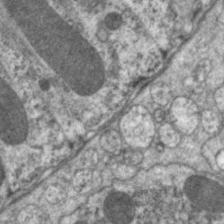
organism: C. elegans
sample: Pharynx